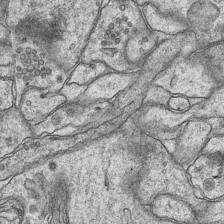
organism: Mouse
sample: CA1 Hippocampus